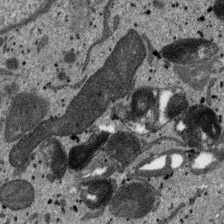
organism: Human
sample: Lung epithelial cells, uninfected (mock) control